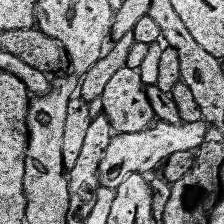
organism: Human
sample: Temporal Lobe